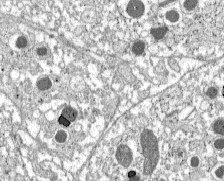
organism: C57BL Mouse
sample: Pancreatic islet